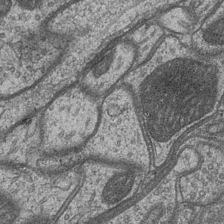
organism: Drosophila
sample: Optic medulla